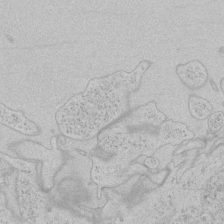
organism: Human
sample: Mitochondria in HCT116 cells